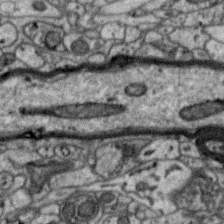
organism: Zebra finch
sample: Brain